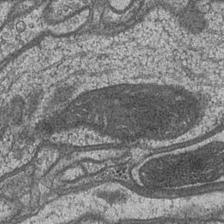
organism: Drosophila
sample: Optic medulla